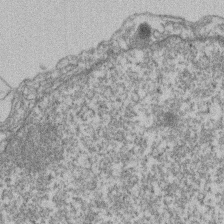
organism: Mouse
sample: T cell stromal cell synapse